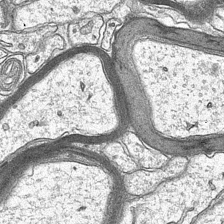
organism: Mouse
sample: CA1 Hippocampus